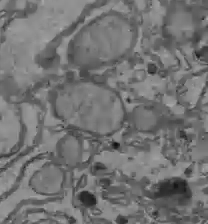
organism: C57BL Mouse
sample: Liver